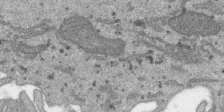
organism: Human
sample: Lung epithelial cells infected with SARS-CoV-2